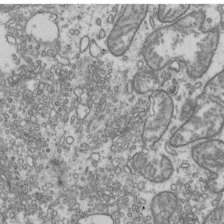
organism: Human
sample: Activated Jurkat CD4+ T cells